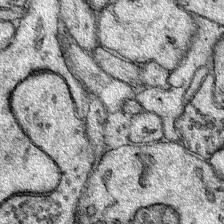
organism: Mouse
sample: Primary visual cortex